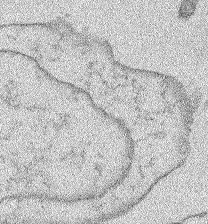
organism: Human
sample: HeLa cells